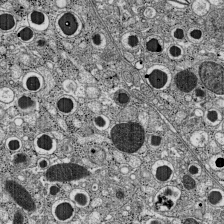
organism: C57BL Mouse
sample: Pancreatic islet